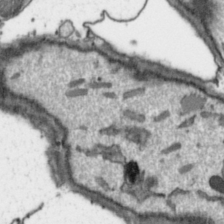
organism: Toxoplasma gondii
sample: Parasites in a vacuole inside a host cell